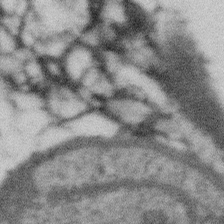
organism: Gemmata obscuriglobus